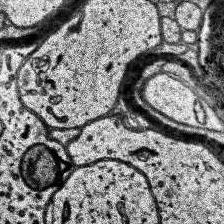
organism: Human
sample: Temporal Lobe